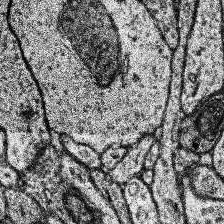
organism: Human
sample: Temporal Lobe